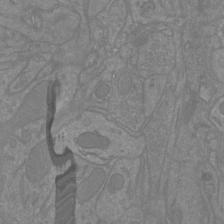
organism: Mouse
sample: Cortical neurons